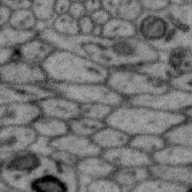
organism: Zebra finch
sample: Brain